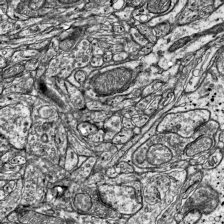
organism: Mouse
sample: Visual Cortex